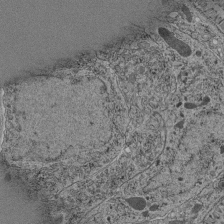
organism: C. elegans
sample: C. elegans pharynx